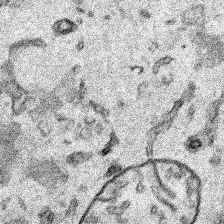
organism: Human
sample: Mitochondria in HCT116 cells